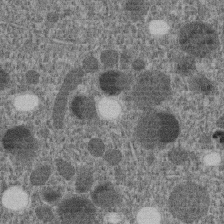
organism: C. elegans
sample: C. elegans embryo early stage